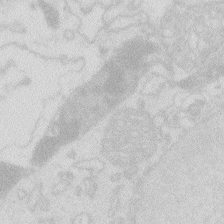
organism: Zebrafish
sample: Macrophage